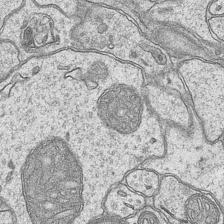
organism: Mouse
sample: CA1 Hippocampus